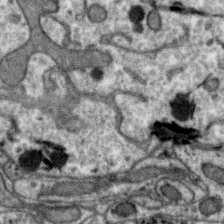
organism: Zebra finch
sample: Brain